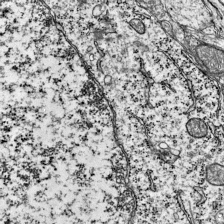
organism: Mouse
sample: Visual Cortex